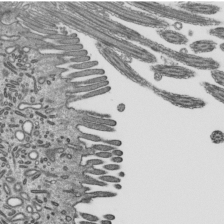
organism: Mouse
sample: Mouse epididymis efferent ductule cilia